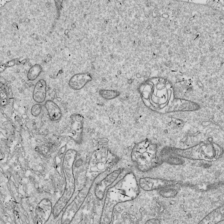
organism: Drosophila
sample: Cell division; meiosis; drosophila spermatocytes